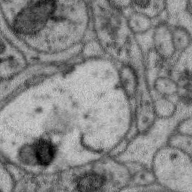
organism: Zebra finch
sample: Brain